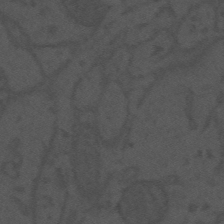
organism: Mouse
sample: Suprachiasmatic nucleus